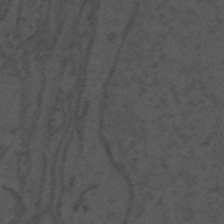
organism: Mouse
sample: Suprachiasmatic nucleus